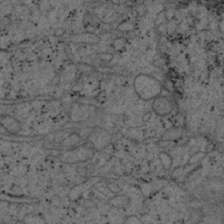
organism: Human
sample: HeLa cells